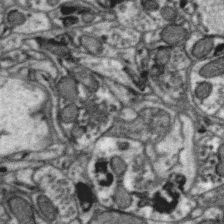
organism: Zebra finch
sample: Brain